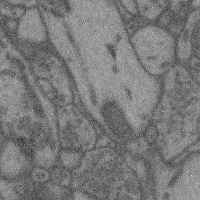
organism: Mouse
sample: Cerebral cortex